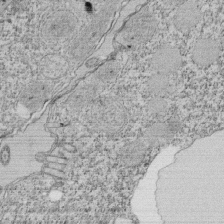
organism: Tetrahymena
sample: Cilia in tetrahymena